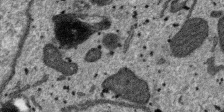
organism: Human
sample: Lung epithelial cells, uninfected (mock) control